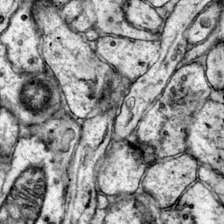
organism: Mouse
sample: Primary visual cortex